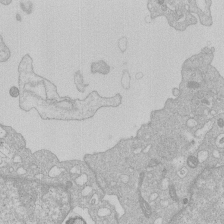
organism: Human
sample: Macrophage cells